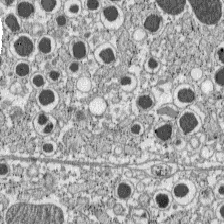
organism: C57BL Mouse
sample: Pancreatic islet